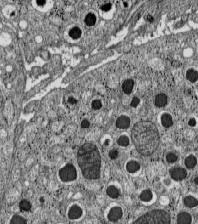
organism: C57BL Mouse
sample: Pancreatic islet